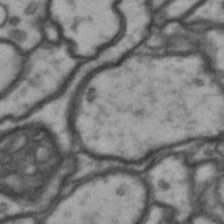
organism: Drosophila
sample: Brain